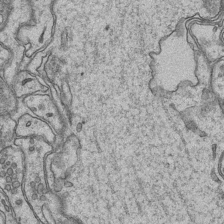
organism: Mouse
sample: CA1 Hippocampus